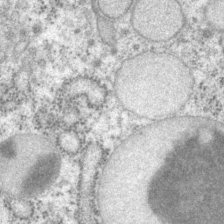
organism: P. pacificus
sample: Pharynx